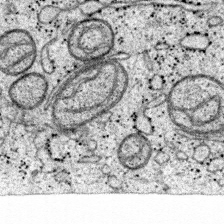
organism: Human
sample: HeLa cells